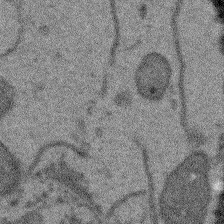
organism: Arabidopsis thaliana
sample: Root tip